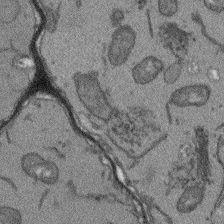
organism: Arabidopsis thaliana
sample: Root tip